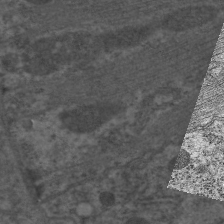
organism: C. elegans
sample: Pharynx